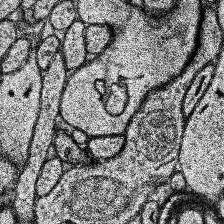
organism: Human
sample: Temporal Lobe